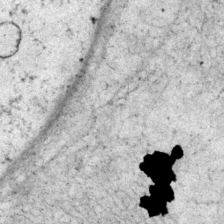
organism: P. pacificus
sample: Pharynx